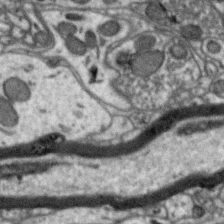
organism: Zebra finch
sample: Brain